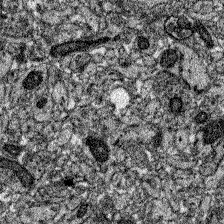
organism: Zebrafish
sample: Larval olfactory bulb